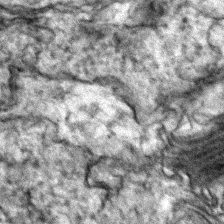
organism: Zebrafish